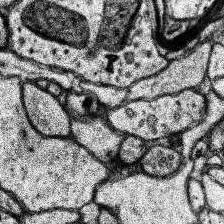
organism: Human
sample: Temporal Lobe